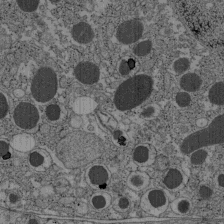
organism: C57BL Mouse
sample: Pancreatic islet